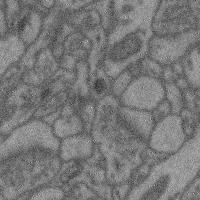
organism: Mouse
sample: Cerebral cortex